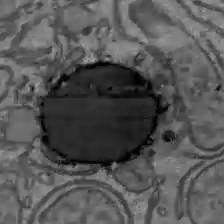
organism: C57BL Mouse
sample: Liver